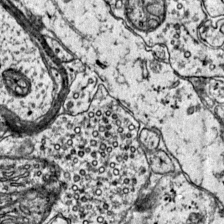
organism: Mouse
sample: Primary visual cortex